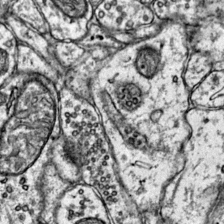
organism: Mouse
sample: Primary visual cortex